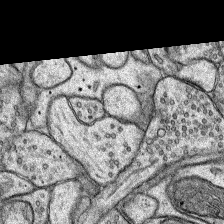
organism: Rat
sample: Hippocampus